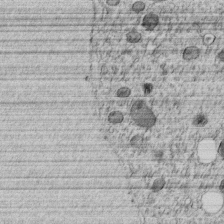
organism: C. elegans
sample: C. elegans embryo early stage